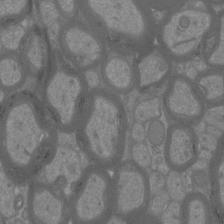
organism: Mouse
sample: Cortical neurons